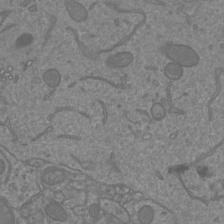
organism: Mouse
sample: Cortical neurons